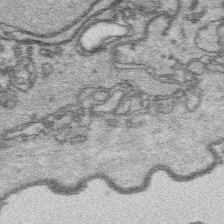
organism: Platynereis dumerilii